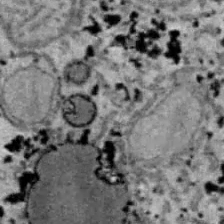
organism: Mouse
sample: Liver from an obese (ob/ob) mouse